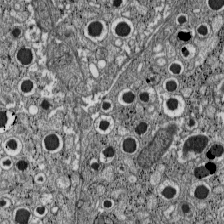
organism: C57BL Mouse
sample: Pancreatic islet